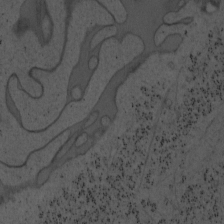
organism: Mouse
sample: OT-I killer T cells with ID8 ovarian cancer cells